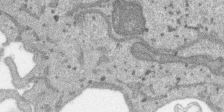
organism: Human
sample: Lung epithelial cells infected with SARS-CoV-2